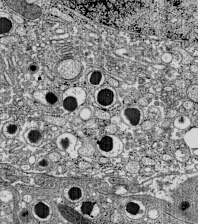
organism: C57BL Mouse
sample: Pancreatic islet